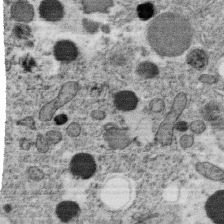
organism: C. elegans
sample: C. elegans oocyte; sperm cells